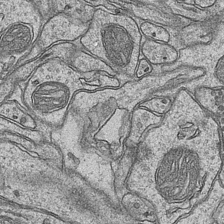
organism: Mouse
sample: CA1 Hippocampus